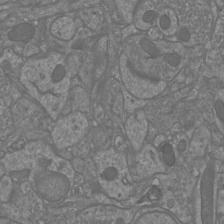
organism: Mouse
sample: Cortical neurons